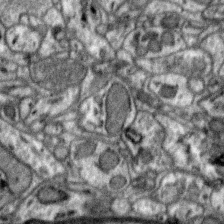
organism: Zebra finch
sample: Brain